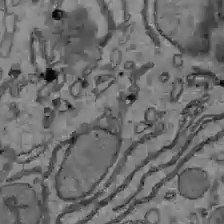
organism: C57BL Mouse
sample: Liver